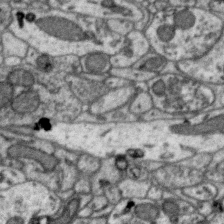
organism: Zebra finch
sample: Brain